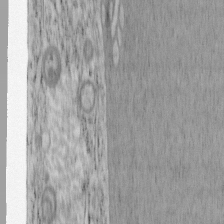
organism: Human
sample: HeLa cells